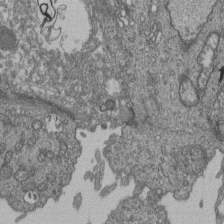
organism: Human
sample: Retinal organoid Rod and Cone cells